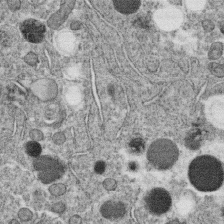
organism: C. elegans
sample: C. elegans oocyte; sperm cells